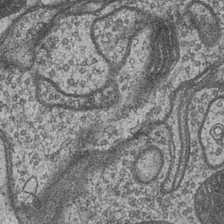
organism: Drosophila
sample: Optic medulla